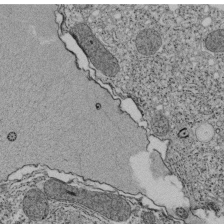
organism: Tetrahymena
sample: Cilia in tetrahymena